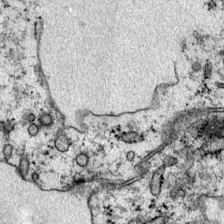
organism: Mouse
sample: Primary visual cortex